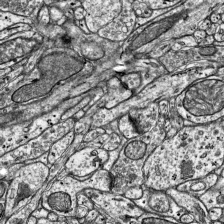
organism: Mouse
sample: Visual Cortex